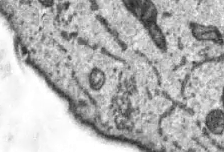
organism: Human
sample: HeLa cells